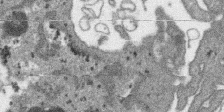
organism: Human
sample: Lung epithelial cells infected with SARS-CoV-2